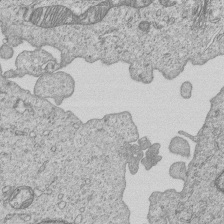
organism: Human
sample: MDA-MB-231 cells